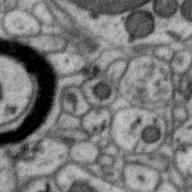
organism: Zebra finch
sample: Brain